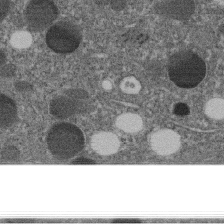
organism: C. elegans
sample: C. elegans embryo early stage